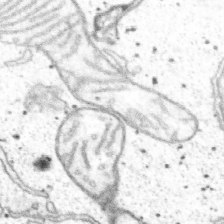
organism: Human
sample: HeLa cells